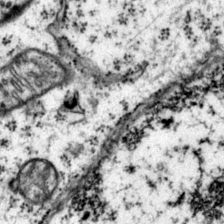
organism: Mouse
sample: Primary visual cortex